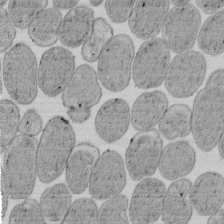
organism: E. coli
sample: Bacterial nucleoid